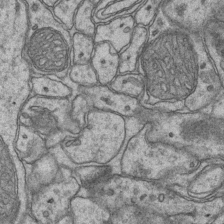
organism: Mouse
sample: CA1 Hippocampus